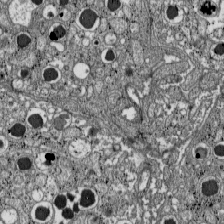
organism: C57BL Mouse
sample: Pancreatic islet